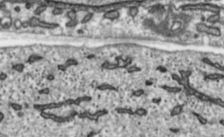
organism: Toxoplasma gondii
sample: Parasites in a vacuole inside a host cell